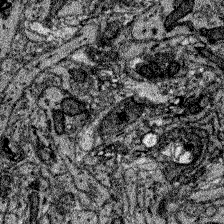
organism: Zebrafish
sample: Larval olfactory bulb